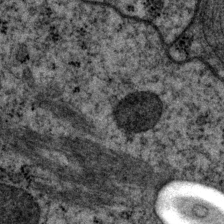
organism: P. pacificus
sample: Pharynx